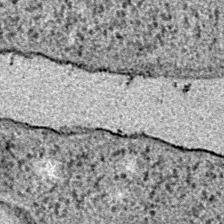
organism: E. coli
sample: E. Coli Bacteria